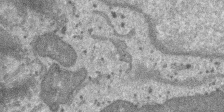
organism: Human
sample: Lung epithelial cells infected with SARS-CoV-2